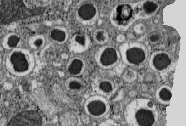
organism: C57BL Mouse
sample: Pancreatic islet